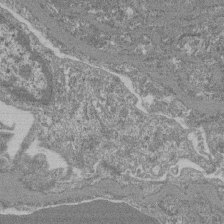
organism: Mouse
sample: Glomerulus